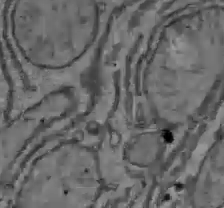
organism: C57BL Mouse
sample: Liver